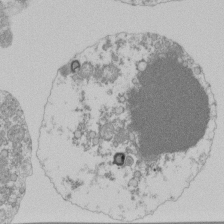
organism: Mouse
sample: Activated Pmel transgenic CD8+ T Cells